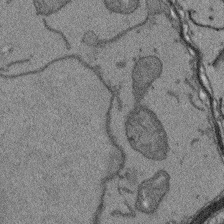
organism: Arabidopsis thaliana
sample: Root tip